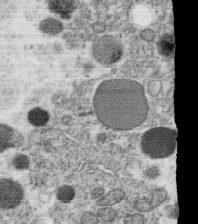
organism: C. elegans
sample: C. elegans oocyte; sperm cells